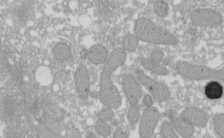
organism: Xenopus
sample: Cilia; centrioles in frog embryo cells